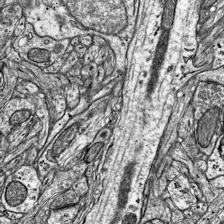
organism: Mouse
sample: Visual Cortex